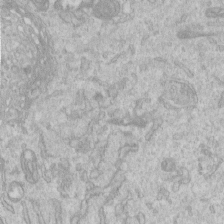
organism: Human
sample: Centriole in RPE cells